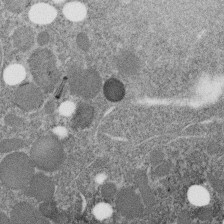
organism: C. elegans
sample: C. elegans embryo early stage